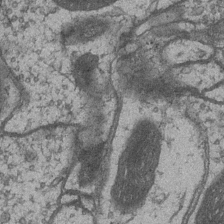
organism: Drosophila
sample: Optic medulla